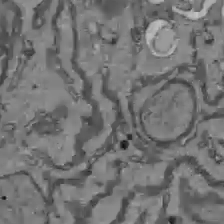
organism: C57BL Mouse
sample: Liver